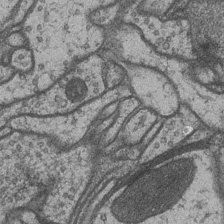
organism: Drosophila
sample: Optic medulla